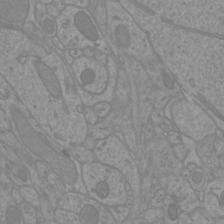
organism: Mouse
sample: Cortical neurons